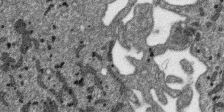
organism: Human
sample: Lung epithelial cells infected with SARS-CoV-2